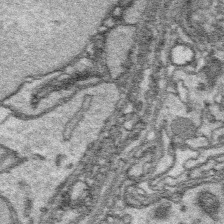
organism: Platynereis dumerilii